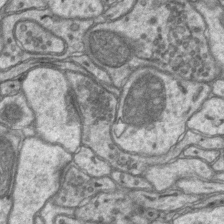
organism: Mouse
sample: CA1 Hippocampus